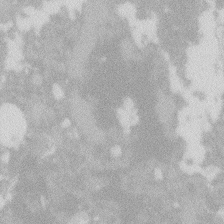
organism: Zebrafish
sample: Macrophage